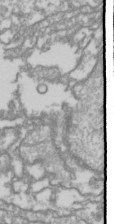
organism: Drosophila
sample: Cell division; meiosis; drosophila spermatocytes